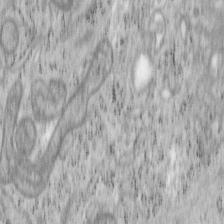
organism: Human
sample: HeLa cells